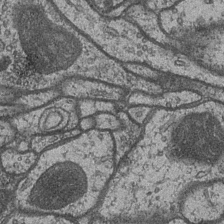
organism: Drosophila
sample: Optic medulla